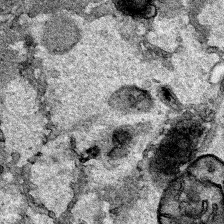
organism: Human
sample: Mitochondria in HCT116 cells